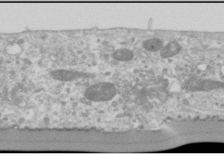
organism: Human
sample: Cilia; basal body in RPE cells